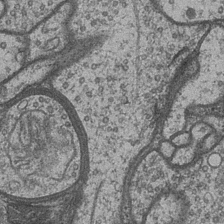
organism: Drosophila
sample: Optic medulla